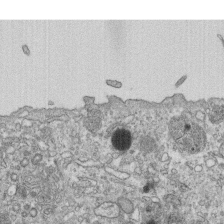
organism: Human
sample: HeLa cell HIV synapse